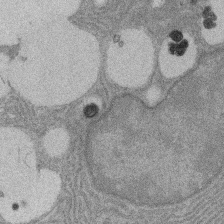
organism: Rat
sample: Salivary granule